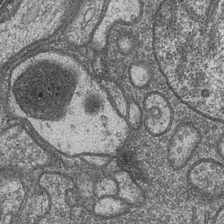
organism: Drosophila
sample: Optic medulla